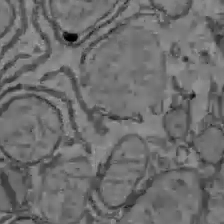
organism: C57BL Mouse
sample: Liver